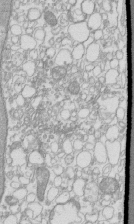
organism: Mouse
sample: Macrophages